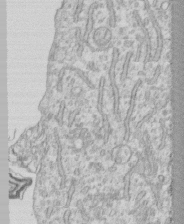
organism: Human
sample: CRL-1474